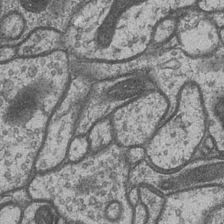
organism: Drosophila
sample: Optic medulla